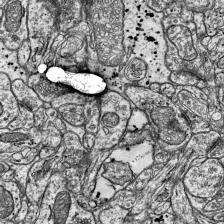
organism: Mouse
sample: Visual Cortex